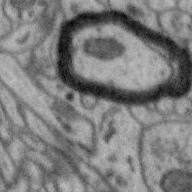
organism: Zebra finch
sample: Brain